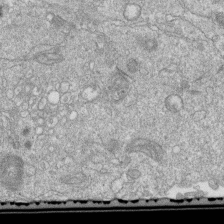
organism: Human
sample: HeLa cell HIV synapse